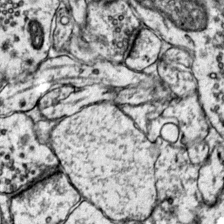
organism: Mouse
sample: Primary visual cortex